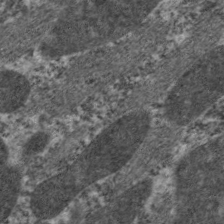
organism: C. elegans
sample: Pharynx